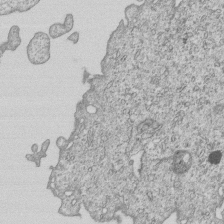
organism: Human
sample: MDA-MB-231 cells